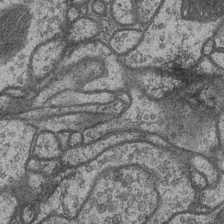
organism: Drosophila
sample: Optic medulla